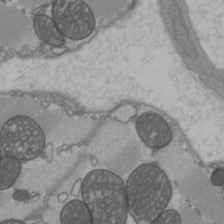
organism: C57BL Mouse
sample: Heart